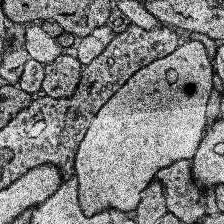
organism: Human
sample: Temporal Lobe